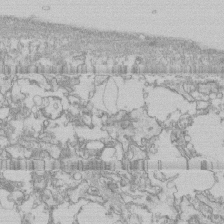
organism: Human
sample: CRL-1474